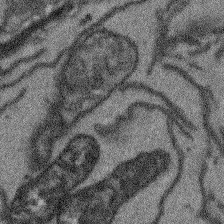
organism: Arabidopsis thaliana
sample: Root tip